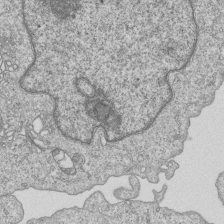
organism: Human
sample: MDA-MB-231 cells